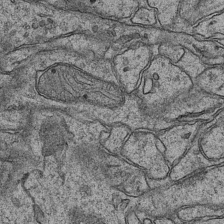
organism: Mouse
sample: CA1 Hippocampus